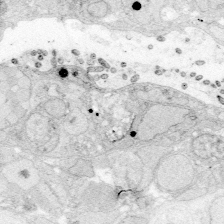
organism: Zebrafish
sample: Whole-Brain